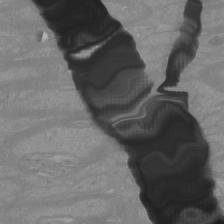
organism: Mouse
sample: Cortical neurons